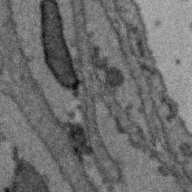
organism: Zebra finch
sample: Brain